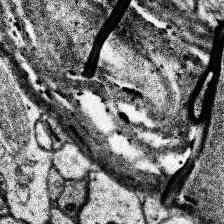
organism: Human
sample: Temporal Lobe